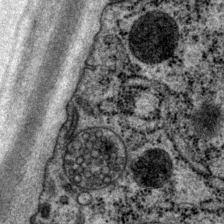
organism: P. pacificus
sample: Pharynx